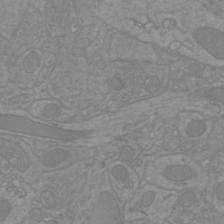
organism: Mouse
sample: Cortical neurons